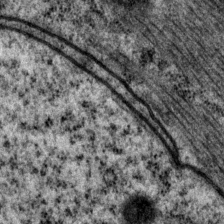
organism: P. pacificus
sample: Pharynx